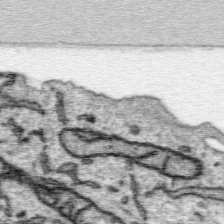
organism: Human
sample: HeLa cells